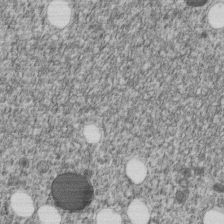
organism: C. elegans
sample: C. elegans embryo early stage